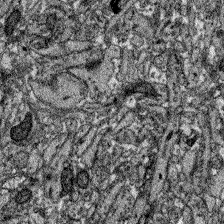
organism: Zebrafish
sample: Larval olfactory bulb